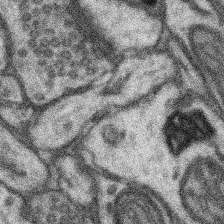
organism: Mouse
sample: Somatosensory cortex neuropil